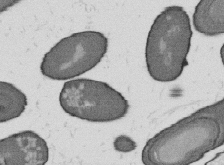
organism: B. subtilis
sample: Bacterial spore